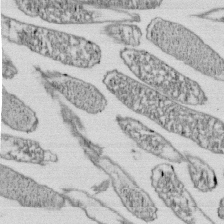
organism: E. coli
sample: Bacterial nucleoid